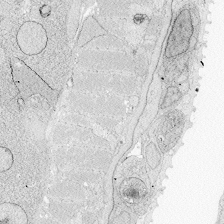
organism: Zebrafish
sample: Whole-Brain